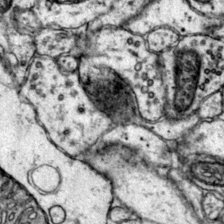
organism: Mouse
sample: Primary visual cortex